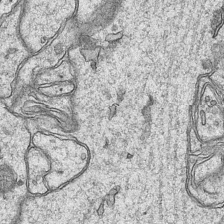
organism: Mouse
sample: CA1 Hippocampus